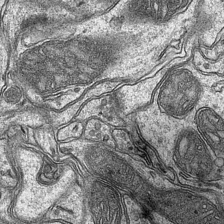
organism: Mouse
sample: CA1 Hippocampus